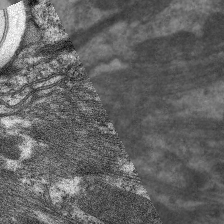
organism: C. elegans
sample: Pharynx